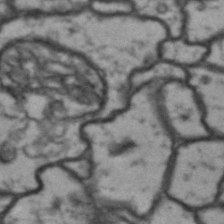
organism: Drosophila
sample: Brain